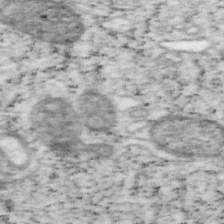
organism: Mouse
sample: OT-I killer T cells with ID8 ovarian cancer cells